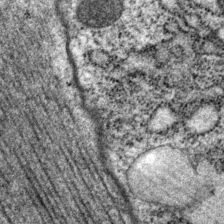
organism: P. pacificus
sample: Pharynx